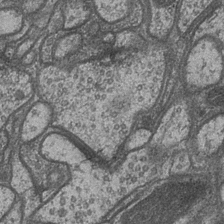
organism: Drosophila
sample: Optic medulla